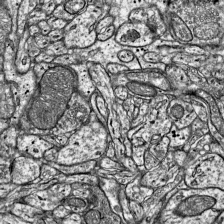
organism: Mouse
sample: Visual Cortex